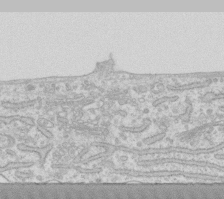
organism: Human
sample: Fibroblast cells